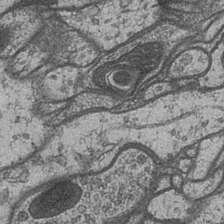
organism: Drosophila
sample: Optic medulla